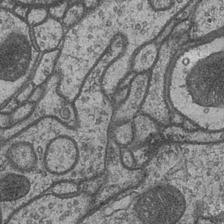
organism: Drosophila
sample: Optic medulla